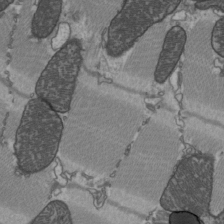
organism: C57BL Mouse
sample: Heart